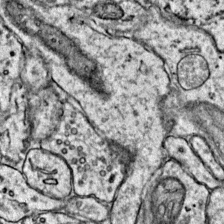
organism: Mouse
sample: Primary visual cortex